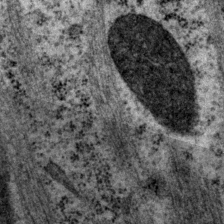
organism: P. pacificus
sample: Pharynx